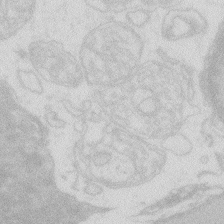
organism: Zebrafish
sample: Macrophage